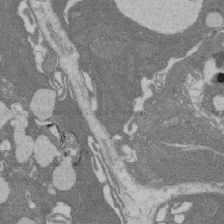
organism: Rat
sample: Salivary granule